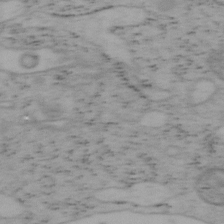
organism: Mouse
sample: OT-I killer T cells with ID8 ovarian cancer cells